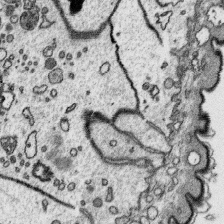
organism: Platynereis dumerilii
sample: Parapodia